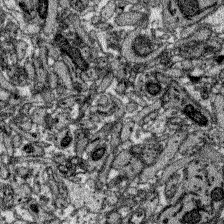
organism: Zebrafish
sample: Larval olfactory bulb